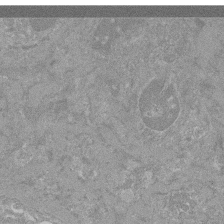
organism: Mouse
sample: Glomerulus